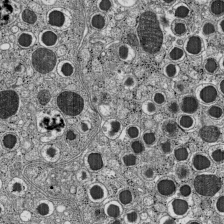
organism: C57BL Mouse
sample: Pancreatic islet